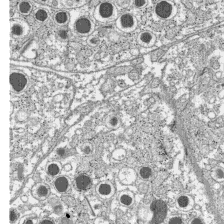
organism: C57BL Mouse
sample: Pancreatic islet